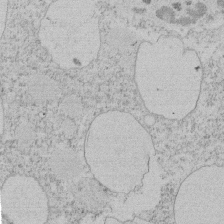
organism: Tetrahymena